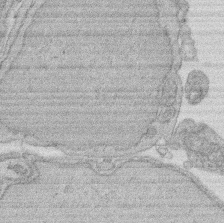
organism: Rat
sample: Salivary granule